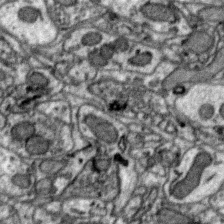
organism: Zebra finch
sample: Brain